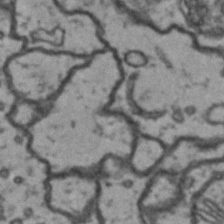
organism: Drosophila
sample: Brain